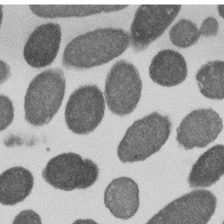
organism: E. coli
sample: Bacterial nucleoid